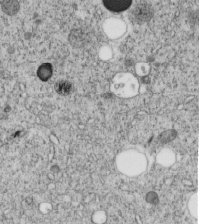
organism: C. elegans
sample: C. elegans embryo early stage